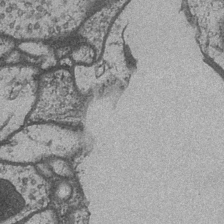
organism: Drosophila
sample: Optic medulla